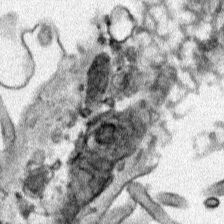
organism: Human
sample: Mitochondria in HCT116 cells